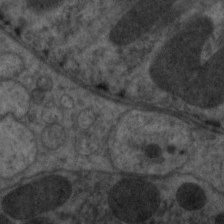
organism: C. elegans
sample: Pharynx